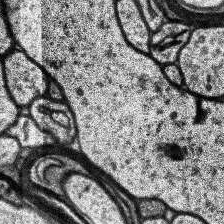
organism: Human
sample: Temporal Lobe